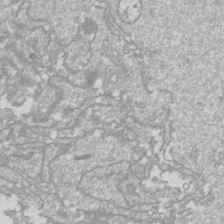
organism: Drosophila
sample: Cell division; meiosis; drosophila spermatocytes